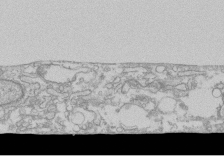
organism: Human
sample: CRL-1474